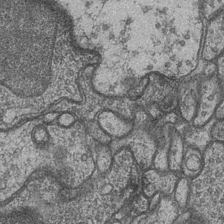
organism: Drosophila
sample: Optic medulla